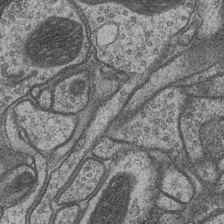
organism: Drosophila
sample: Optic medulla